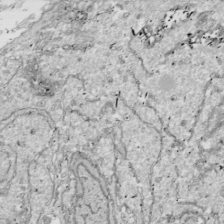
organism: Drosophila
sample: Cell division; meiosis; drosophila spermatocytes